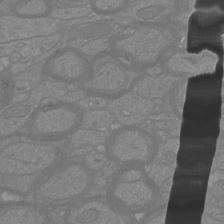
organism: Mouse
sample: Cortical neurons